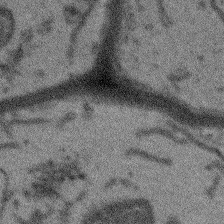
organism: Arabidopsis thaliana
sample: Root tip